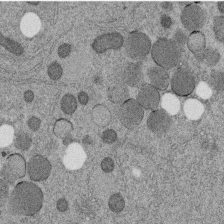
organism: C. elegans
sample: C. elegans embryo early stage